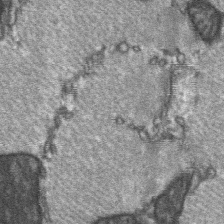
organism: C57BL Mouse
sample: Soleus